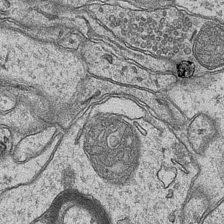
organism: Mouse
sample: CA1 Hippocampus